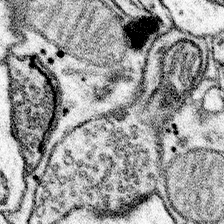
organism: Mouse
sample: Somatosensory cortex neuropil